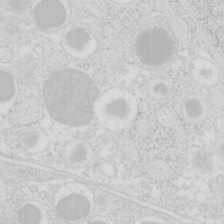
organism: Mouse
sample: Pancreas